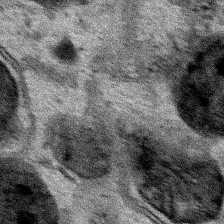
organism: Human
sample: Mitochondria in HCT116 cells